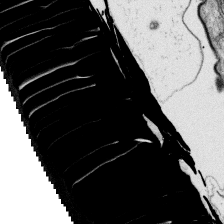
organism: Platynereis dumerilii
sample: Parapodia